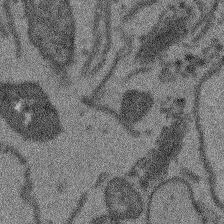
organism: Arabidopsis thaliana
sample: Root tip